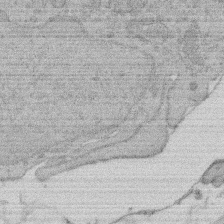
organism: Rat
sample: Salivary granule